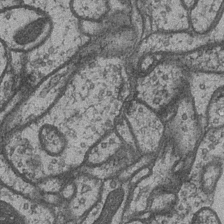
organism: Drosophila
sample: Optic medulla